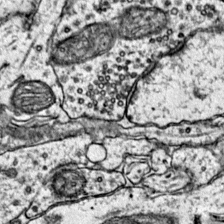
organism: Mouse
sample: Primary visual cortex